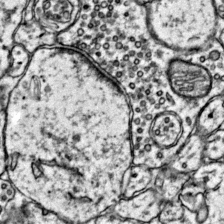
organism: Mouse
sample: Primary visual cortex